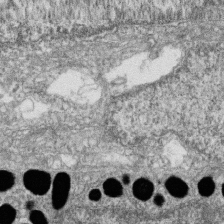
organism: Zebrafish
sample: Cilia; retinal pigment epithelium